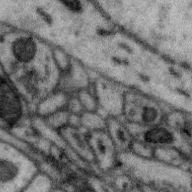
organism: Zebra finch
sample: Brain